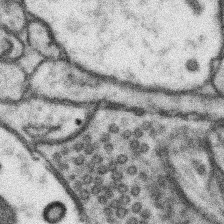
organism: Mouse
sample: Somatosensory cortex neuropil